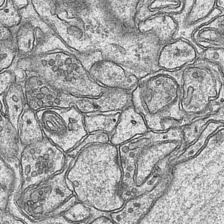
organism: Mouse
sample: CA1 Hippocampus